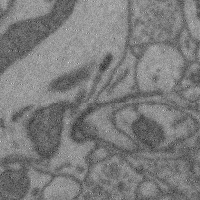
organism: Mouse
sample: Cerebral cortex